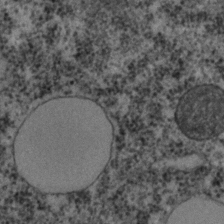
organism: C. elegans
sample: C. elegans embryo